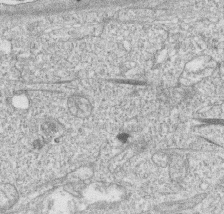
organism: Human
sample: HeLa cell HIV synapse